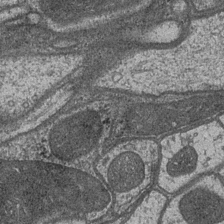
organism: Drosophila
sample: Optic medulla